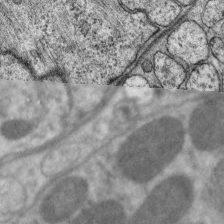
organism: C. elegans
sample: Pharynx